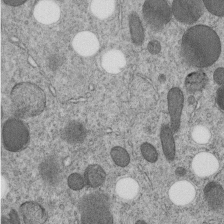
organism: C. elegans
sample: C. elegans embryo early stage